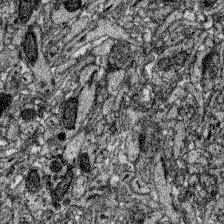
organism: Zebrafish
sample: Larval olfactory bulb